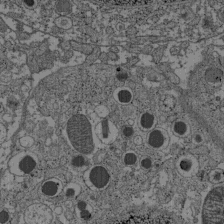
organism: C57BL Mouse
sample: Pancreatic islet